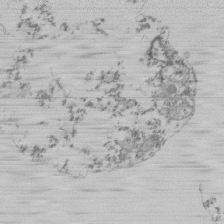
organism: Mouse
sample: Activated Pmel transgenic CD8+ T Cells